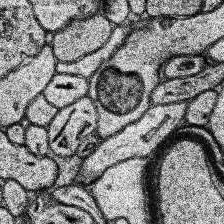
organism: Human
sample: Temporal Lobe